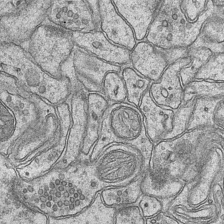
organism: Mouse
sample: CA1 Hippocampus